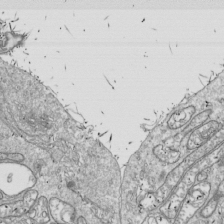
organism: Drosophila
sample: Cell division; meiosis; drosophila spermatocytes